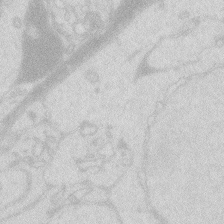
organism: Zebrafish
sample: Macrophage